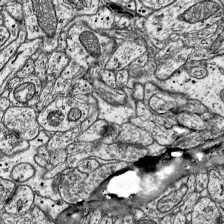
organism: Mouse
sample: Visual Cortex